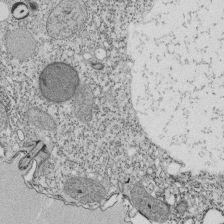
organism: Tetrahymena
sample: Cilia in tetrahymena